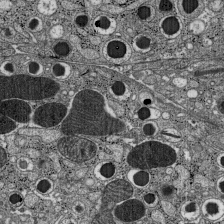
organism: C57BL Mouse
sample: Pancreatic islet